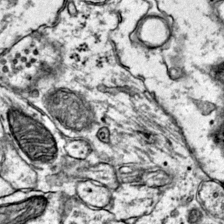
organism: Mouse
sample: Primary visual cortex